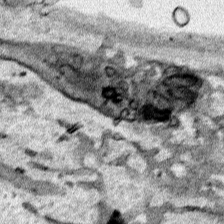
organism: Human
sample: Mitochondria in HCT116 cells